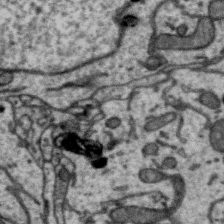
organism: Zebra finch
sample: Brain